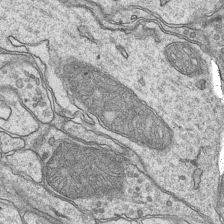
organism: Mouse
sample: CA1 Hippocampus